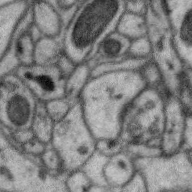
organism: Zebra finch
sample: Brain